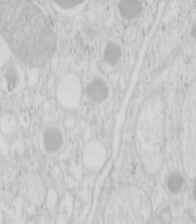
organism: Mouse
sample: Pancreas